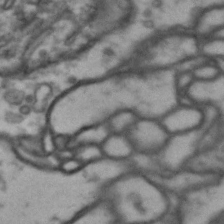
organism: Drosophila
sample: Brain